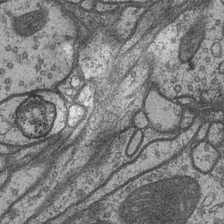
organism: Drosophila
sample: Optic medulla